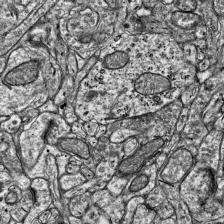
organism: Mouse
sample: Visual Cortex